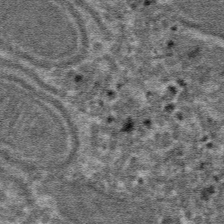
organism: Mouse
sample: Mouse hepatocytes